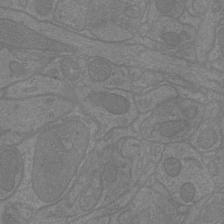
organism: Mouse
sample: Cortical neurons